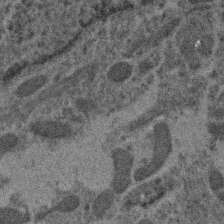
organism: Human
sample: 1205lu cells